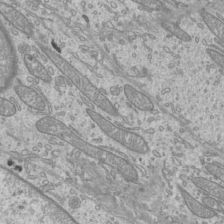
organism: Mouse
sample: Cilia; mouse epididymis